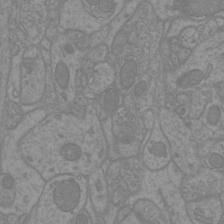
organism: Mouse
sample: Cortical neurons